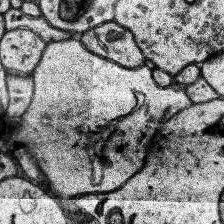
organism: Human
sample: Temporal Lobe